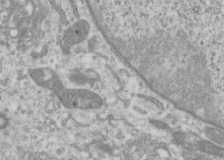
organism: Human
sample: Cilia; basal body in RPE cells